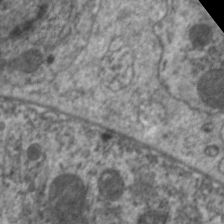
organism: C. elegans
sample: Pharynx